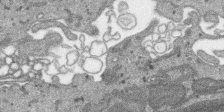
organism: Human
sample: Lung epithelial cells infected with SARS-CoV-2